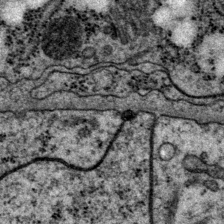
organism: P. pacificus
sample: Pharynx